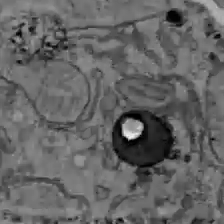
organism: C57BL Mouse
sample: Liver